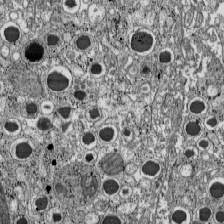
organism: C57BL Mouse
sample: Pancreatic islet